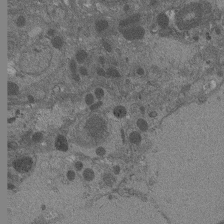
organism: Drosophila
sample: Antenna